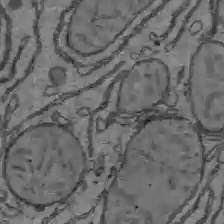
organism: C57BL Mouse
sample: Liver